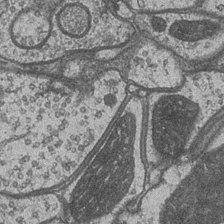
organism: Drosophila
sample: Optic medulla